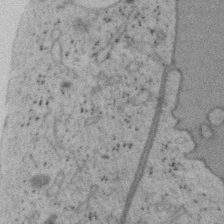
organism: Human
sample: HeLa cells